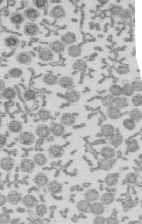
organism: Mouse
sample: Multiciliated cells